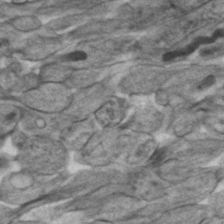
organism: Zebrafish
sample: Zebrafish embryo